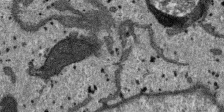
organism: Human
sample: Lung epithelial cells, uninfected (mock) control